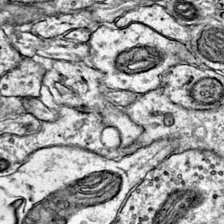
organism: Mouse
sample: Primary visual cortex